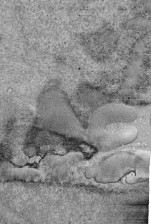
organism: Human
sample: Retinal organoid Rod and Cone cells